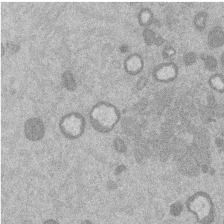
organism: Mouse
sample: Dividing mouse embryo 1 cell stage